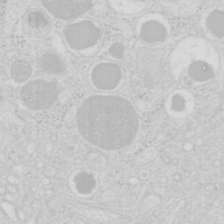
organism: Mouse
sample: Pancreas